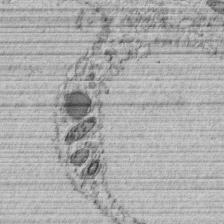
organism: C. elegans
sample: C. elegans embryo early stage